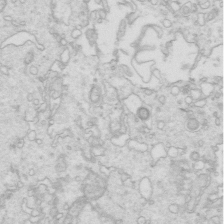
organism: Mouse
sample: Multiciliated cells